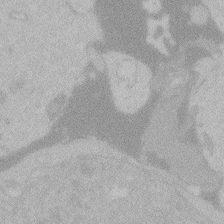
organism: Zebrafish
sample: Macrophage infected with Toxoplasma gondii